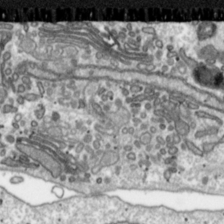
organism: Toxoplasma gondii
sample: Parasites in a vacuole inside a host cell